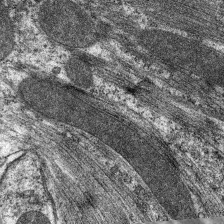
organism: C. elegans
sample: Pharynx